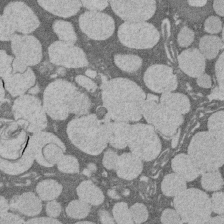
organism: Rat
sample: Salivary granule